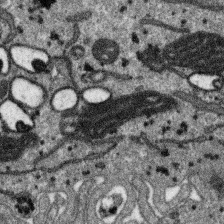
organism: Human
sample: Lung epithelial cells infected with SARS-CoV-2